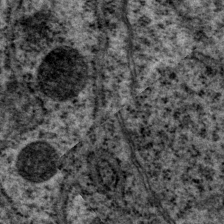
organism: P. pacificus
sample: Pharynx